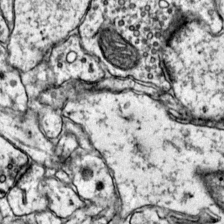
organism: Mouse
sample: Primary visual cortex